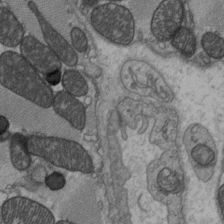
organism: C57BL Mouse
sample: Heart